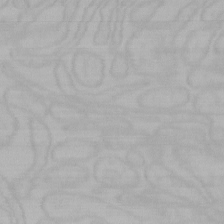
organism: Mouse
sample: Choroid plexus